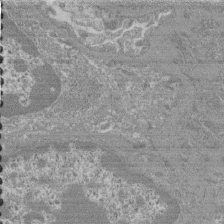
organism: Mouse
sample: Glomerulus